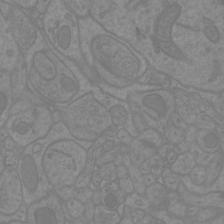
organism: Mouse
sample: Cortical neurons